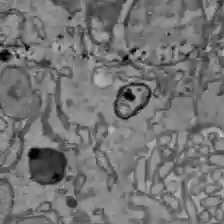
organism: C57BL Mouse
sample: Liver